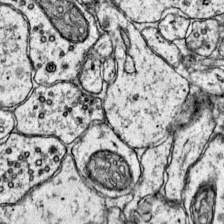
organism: Mouse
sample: Primary visual cortex